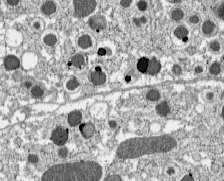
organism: C57BL Mouse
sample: Pancreatic islet